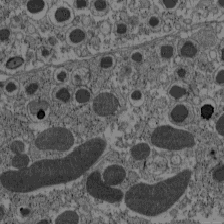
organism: C57BL Mouse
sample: Pancreatic islet